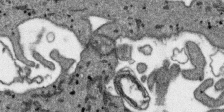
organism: Human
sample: Lung epithelial cells, uninfected (mock) control